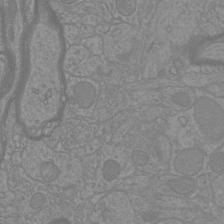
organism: Mouse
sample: Cortical neurons